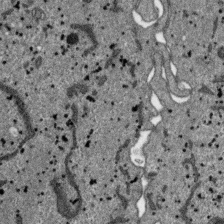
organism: Human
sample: Lung epithelial cells, uninfected (mock) control